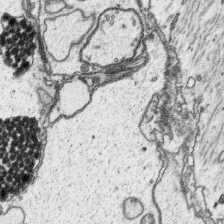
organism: Platynereis dumerilii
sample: Parapodia